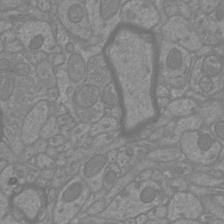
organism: Mouse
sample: Cortical neurons